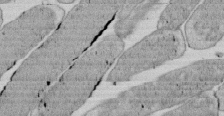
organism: E. coli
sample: Bacterial nucleoid